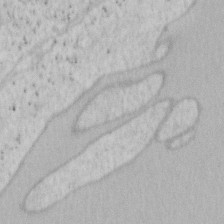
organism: Human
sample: HeLa cells